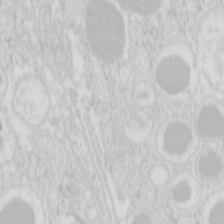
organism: Mouse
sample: Pancreas